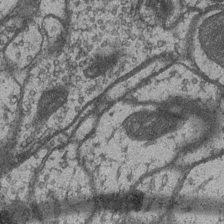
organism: Drosophila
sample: Optic medulla